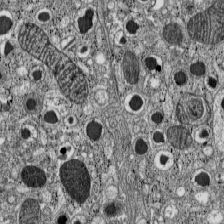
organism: C57BL Mouse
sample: Pancreatic islet